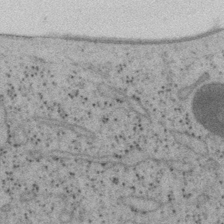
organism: Human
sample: HeLa cells